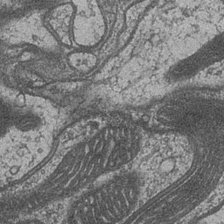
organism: Drosophila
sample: Optic medulla